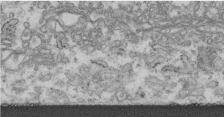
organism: Human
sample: Centriole in fibroblast cells